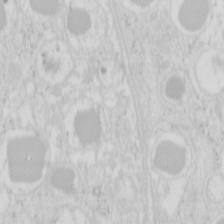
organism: Mouse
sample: Pancreas